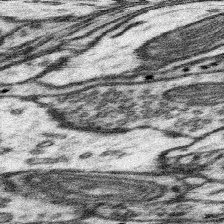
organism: Mouse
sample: Somatosensory cortex neuropil